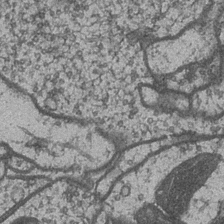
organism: Drosophila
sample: Optic medulla